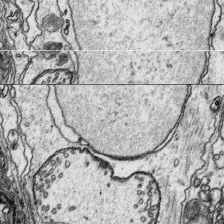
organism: Platynereis dumerilii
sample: Parapodia